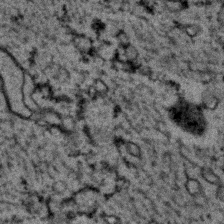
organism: C. elegans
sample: C. elegans embryo